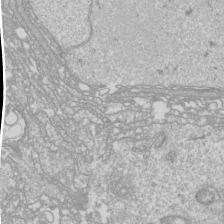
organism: Drosophila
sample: Cell division; meiosis; drosophila spermatocytes